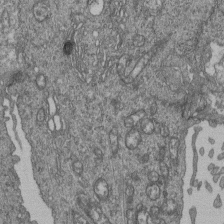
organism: Human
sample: Retinal organoid Rod and Cone cells